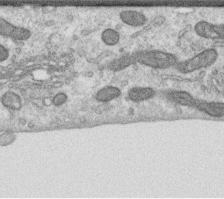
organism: Human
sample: Centriole in RPE cells